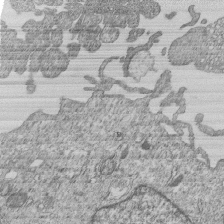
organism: Human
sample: MDA-MB-231 cells